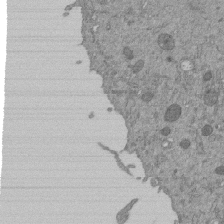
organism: Mouse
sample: ED-1 cell nuclei; centrioles